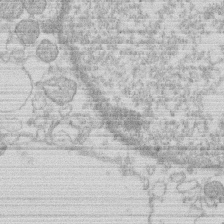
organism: Human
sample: Macrophage cells